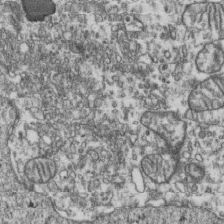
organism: Human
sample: Activated Jurkat CD4+ T cells